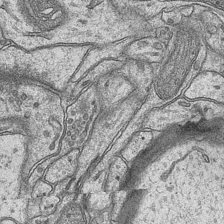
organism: Mouse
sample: CA1 Hippocampus